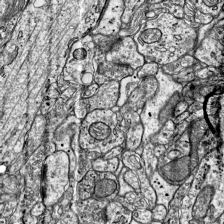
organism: Mouse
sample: Visual Cortex